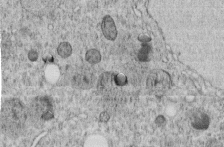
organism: C. elegans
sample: C. elegans embryo early stage